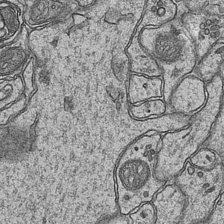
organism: Mouse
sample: CA1 Hippocampus